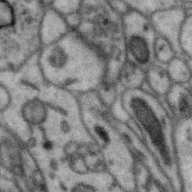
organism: Zebra finch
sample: Brain